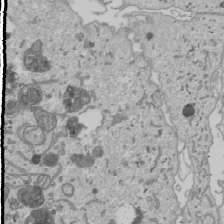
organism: Human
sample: Mitochondria in U2OS cells